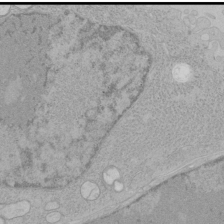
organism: Human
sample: Mitochondria in HCT116 cells